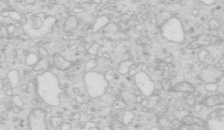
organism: Mouse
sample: Multiciliated cells